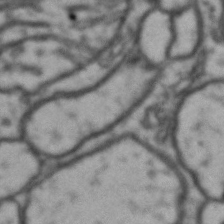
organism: Drosophila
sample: Brain